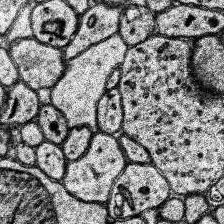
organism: Human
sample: Temporal Lobe